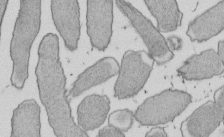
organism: E. coli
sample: Bacterial nucleoid